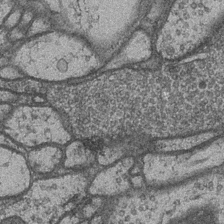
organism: Drosophila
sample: Optic medulla